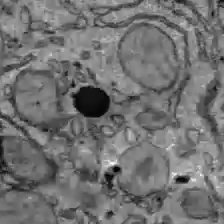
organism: C57BL Mouse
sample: Liver